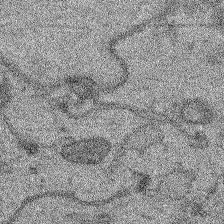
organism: Human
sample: HeLa cells